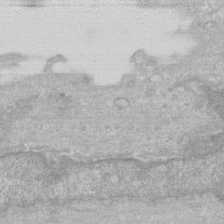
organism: Human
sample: Fibroblast cells